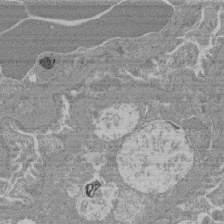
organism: Mouse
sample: Glomerulus